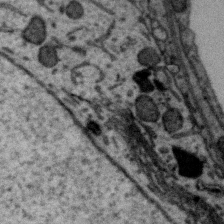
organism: Zebra finch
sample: Brain